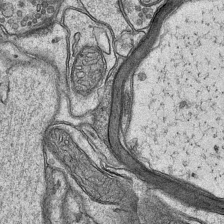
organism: Mouse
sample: CA1 Hippocampus